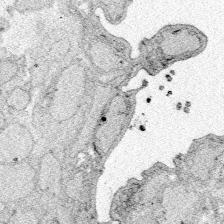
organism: Zebrafish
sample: Whole-Brain